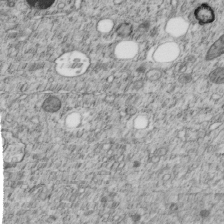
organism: C. elegans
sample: C. elegans embryo early stage